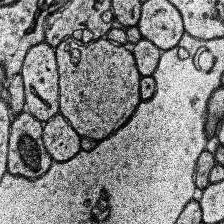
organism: Human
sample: Temporal Lobe